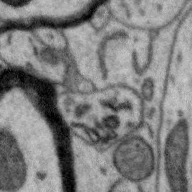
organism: Zebra finch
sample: Brain